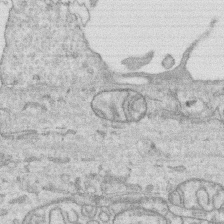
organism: Human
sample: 1205lu cells